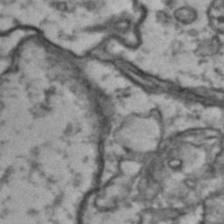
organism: Drosophila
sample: Brain